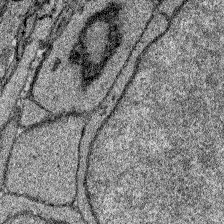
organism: Zebrafish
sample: Larval olfactory bulb